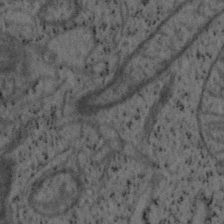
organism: Human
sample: HeLa cells